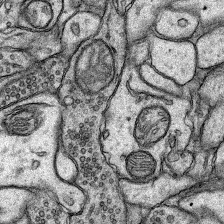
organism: Rat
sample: Hippocampus